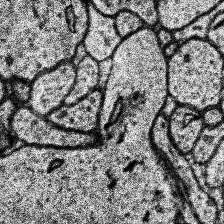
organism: Human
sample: Temporal Lobe